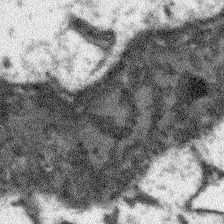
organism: Arabidopsis thaliana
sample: Root tip